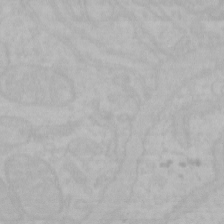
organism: Mouse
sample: Choroid plexus